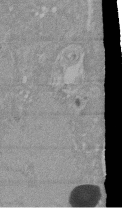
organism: Mouse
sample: ED-1 cell nuclei; centrioles